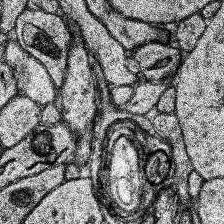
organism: Human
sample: Temporal Lobe